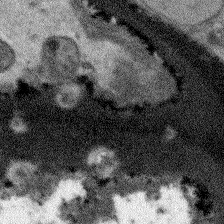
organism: Arabidopsis thaliana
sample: Root tip